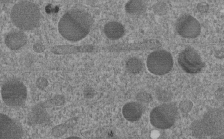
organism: C. elegans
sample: C. elegans embryo early stage